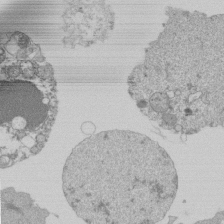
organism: Mouse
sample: Activated Pmel transgenic CD8+ T Cells